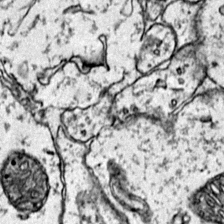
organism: Mouse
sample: Primary visual cortex